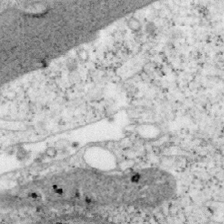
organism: Mouse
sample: OT-I killer T cells with ID8 ovarian cancer cells